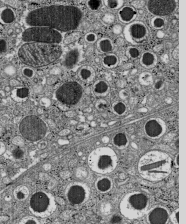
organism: C57BL Mouse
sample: Pancreatic islet